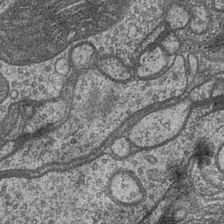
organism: Drosophila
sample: Optic medulla